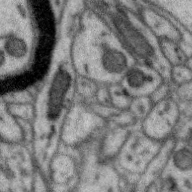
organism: Zebra finch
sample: Brain